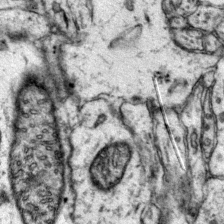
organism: Mouse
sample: Primary visual cortex